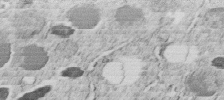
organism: C. elegans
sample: C. elegans embryo early stage